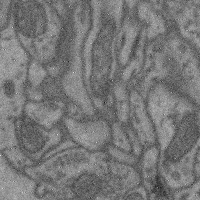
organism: Mouse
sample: Cerebral cortex